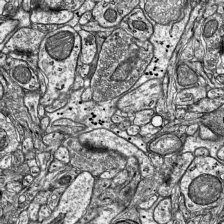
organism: Mouse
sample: Visual Cortex